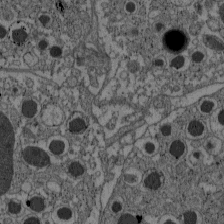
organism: C57BL Mouse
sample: Pancreatic islet